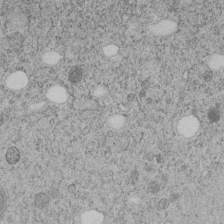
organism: C. elegans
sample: C. elegans embryo early stage